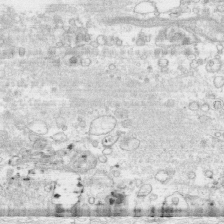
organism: Human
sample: CRL-1474